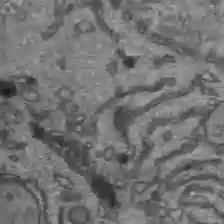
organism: C57BL Mouse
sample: Liver